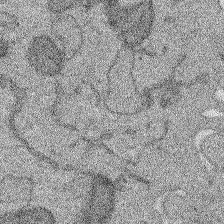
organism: Human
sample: HeLa cells